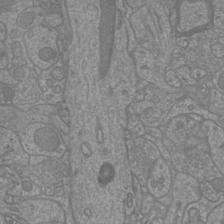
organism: Mouse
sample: Cortical neurons